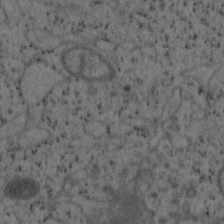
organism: Human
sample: HeLa cells